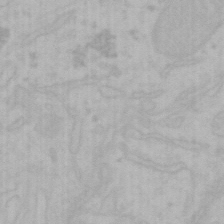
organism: Mouse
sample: Choroid plexus